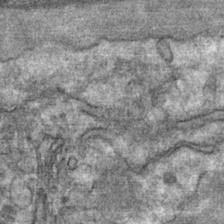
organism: Mouse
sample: Mouse Salivary gland